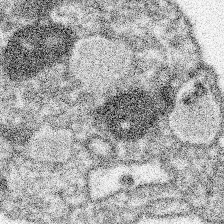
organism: Spongilla lacustris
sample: Neuroid cell